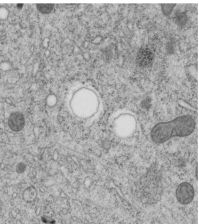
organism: C. elegans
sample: C. elegans embryo early stage